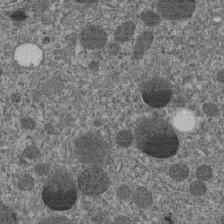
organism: C. elegans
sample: C. elegans embryo early stage